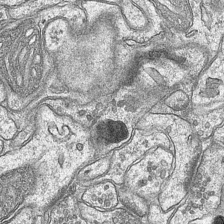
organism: Mouse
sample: CA1 Hippocampus